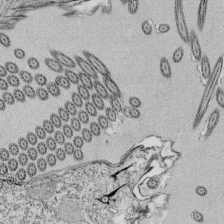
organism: Tetrahymena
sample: Cilia in tetrahymena